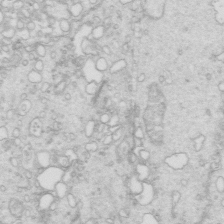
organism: Mouse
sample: Multiciliated cells